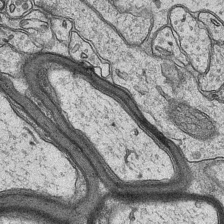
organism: Mouse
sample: CA1 Hippocampus